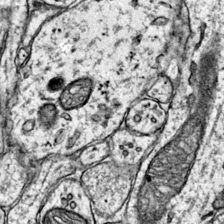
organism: Mouse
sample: Primary visual cortex